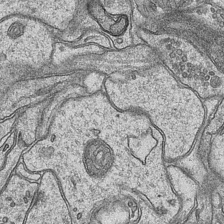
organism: Mouse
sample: CA1 Hippocampus